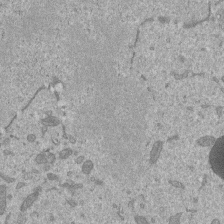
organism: Mouse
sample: ED-1 cell nuclei; centrioles